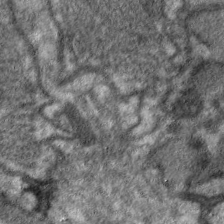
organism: C. elegans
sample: Pharynx